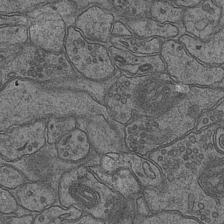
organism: Mouse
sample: CA1 Hippocampus